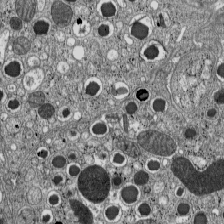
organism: C57BL Mouse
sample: Pancreatic islet